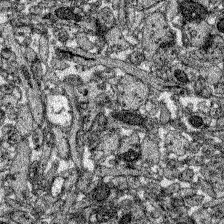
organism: Zebrafish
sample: Larval olfactory bulb